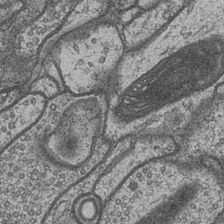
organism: Drosophila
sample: Optic medulla